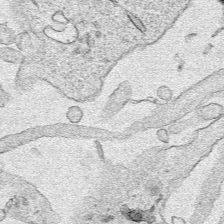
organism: Human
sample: Mitochondria in HCT116 cells